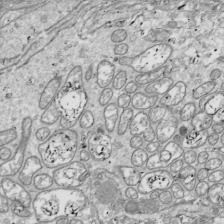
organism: Drosophila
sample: Cell division; meiosis; drosophila spermatocytes